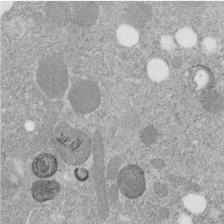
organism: C. elegans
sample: C. elegans embryo early stage